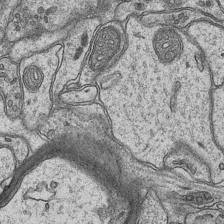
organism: Mouse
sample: CA1 Hippocampus